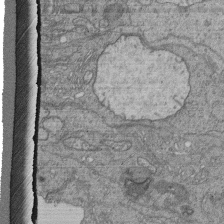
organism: Human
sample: Retinal organoid Rod and Cone cells